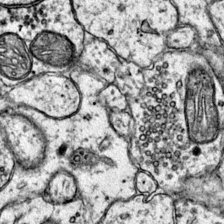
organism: Mouse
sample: Primary visual cortex